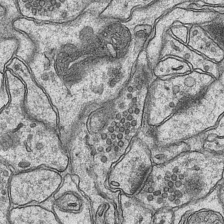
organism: Mouse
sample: CA1 Hippocampus